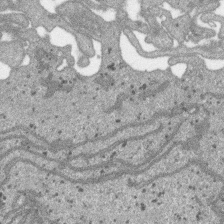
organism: Human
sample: Lung epithelial cells infected with SARS-CoV-2